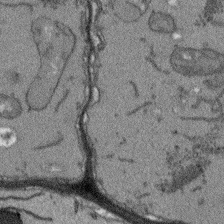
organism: Arabidopsis thaliana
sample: Root tip